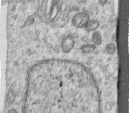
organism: Human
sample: Centriole in RPE cells